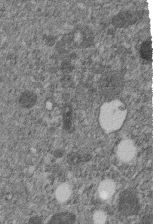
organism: C. elegans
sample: C. elegans embryo early stage